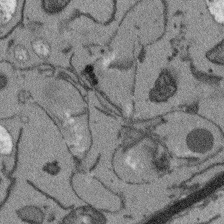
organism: Arabidopsis thaliana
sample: Root tip